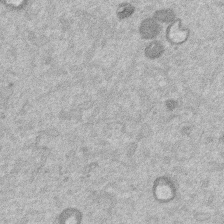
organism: Mouse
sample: Dividing mouse embryo 1 cell stage